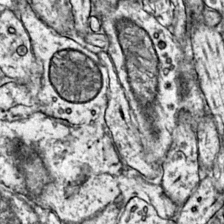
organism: Mouse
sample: Primary visual cortex